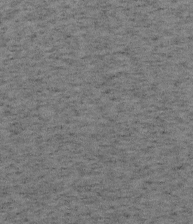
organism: Mouse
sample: OT-I killer T cells with ID8 ovarian cancer cells